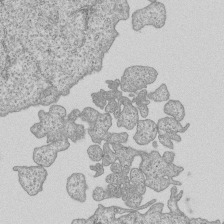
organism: Human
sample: MDA-MB-231 cells